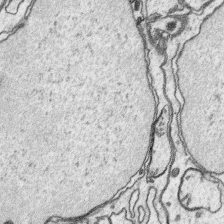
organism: Platynereis dumerilii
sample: Parapodia